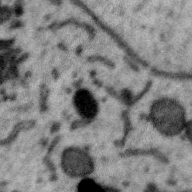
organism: Zebra finch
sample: Brain